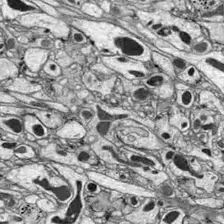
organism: Drosophila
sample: Optic lobe